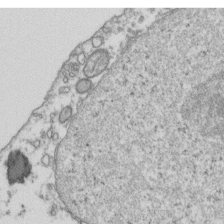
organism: Human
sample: Activated Jurkat CD4+ T cells